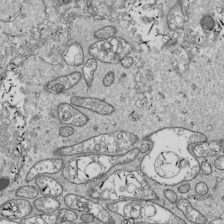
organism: Drosophila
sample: Cell division; meiosis; drosophila spermatocytes